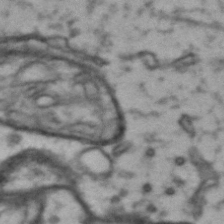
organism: Drosophila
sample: Brain